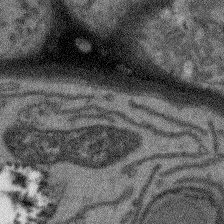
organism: Arabidopsis thaliana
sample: Root tip